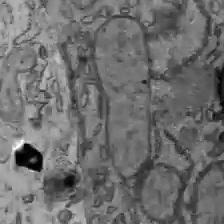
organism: C57BL Mouse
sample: Liver